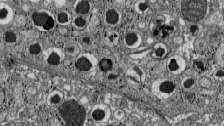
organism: C57BL Mouse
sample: Pancreatic islet